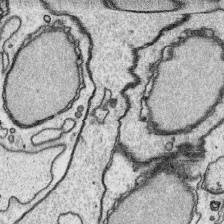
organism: Platynereis dumerilii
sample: Parapodia